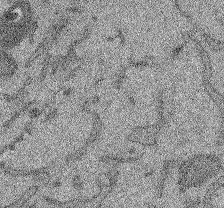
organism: Human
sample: HeLa cells